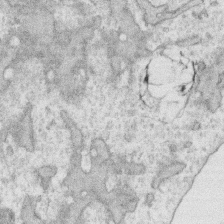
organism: Human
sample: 1205lu cells